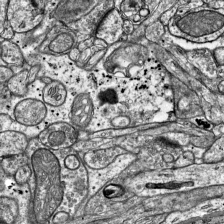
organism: Mouse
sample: Visual Cortex